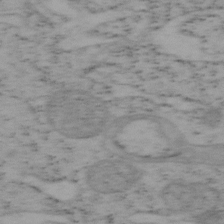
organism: Mouse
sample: OT-I killer T cells with ID8 ovarian cancer cells